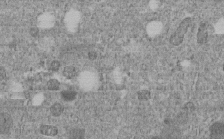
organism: C. elegans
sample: C. elegans embryo early stage